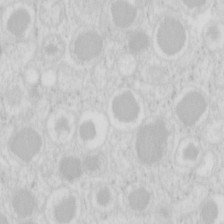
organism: Mouse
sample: Pancreas